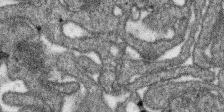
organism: Human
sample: Lung epithelial cells infected with SARS-CoV-2